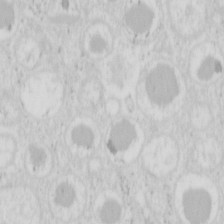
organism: Mouse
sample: Pancreas